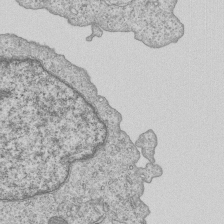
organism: Human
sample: MDA-MB-231 cells